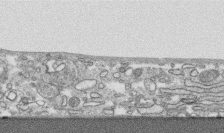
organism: Human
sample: CRL-1474